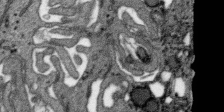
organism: Human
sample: Lung epithelial cells, uninfected (mock) control